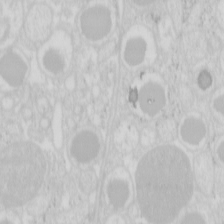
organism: Mouse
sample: Pancreas